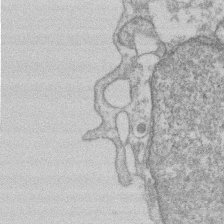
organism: Mouse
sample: T cell stromal cell synapse